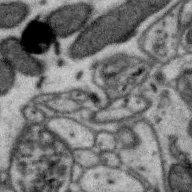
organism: Zebra finch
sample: Brain